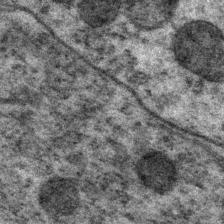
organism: P. pacificus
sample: Pharynx